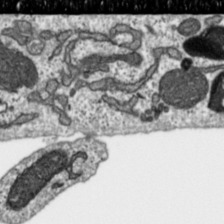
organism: Toxoplasma gondii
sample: Parasites in a vacuole inside a host cell